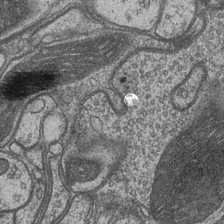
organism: Drosophila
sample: Optic medulla